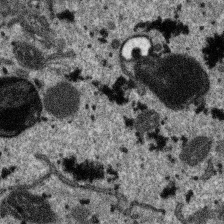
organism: Human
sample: Lung epithelial cells infected with SARS-CoV-2